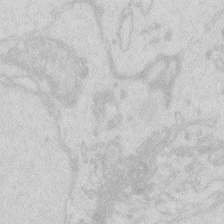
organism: Zebrafish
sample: Macrophage